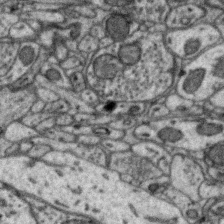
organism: Zebra finch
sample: Brain